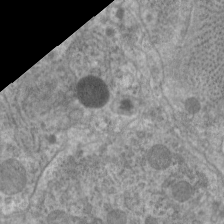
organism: C. elegans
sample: Pharynx